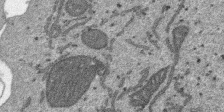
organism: Human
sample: Lung epithelial cells infected with SARS-CoV-2